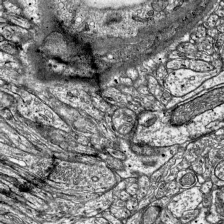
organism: Mouse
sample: Visual Cortex